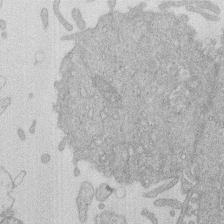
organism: Human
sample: Macrophage cells